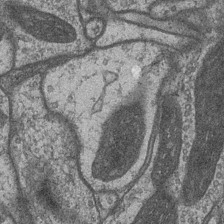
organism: Drosophila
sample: Optic medulla